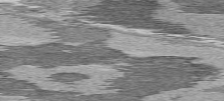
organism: C57BL Mouse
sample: Heart